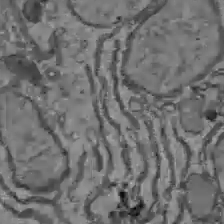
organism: C57BL Mouse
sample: Liver